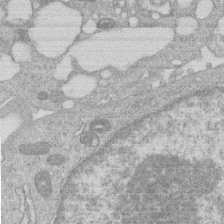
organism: Human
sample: Macrophage cells